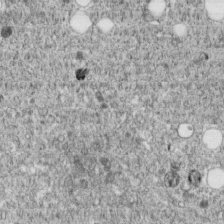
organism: C. elegans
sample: C. elegans embryo early stage